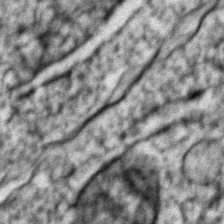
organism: Zebrafish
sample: Zebrafish embryo